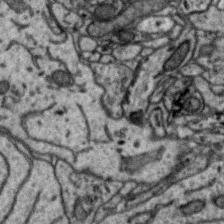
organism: Zebra finch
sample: Brain